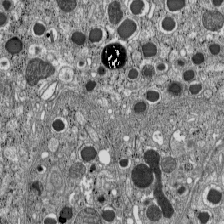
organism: C57BL Mouse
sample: Pancreatic islet